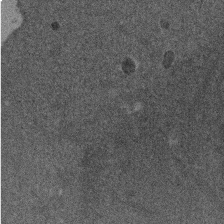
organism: Mouse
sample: Dividing mouse embryo 1 cell stage